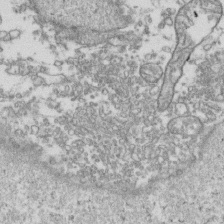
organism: Human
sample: Activated Jurkat CD4+ T cells